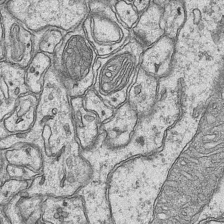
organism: Mouse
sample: CA1 Hippocampus